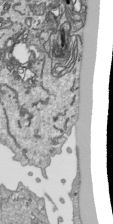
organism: Human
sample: Mitochondria in HCT116 cells